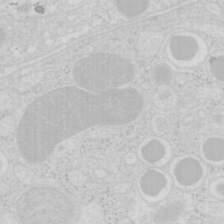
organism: Mouse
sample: Pancreas